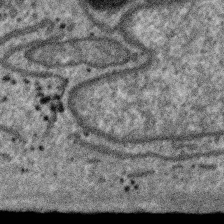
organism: Human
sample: Lung epithelial cells infected with SARS-CoV-2